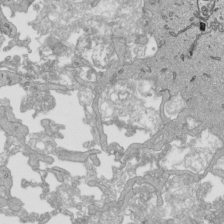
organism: Human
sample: Mitochondria in HCT116 cells